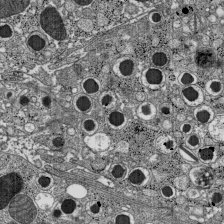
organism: C57BL Mouse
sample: Pancreatic islet